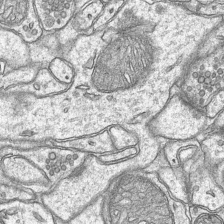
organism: Mouse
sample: CA1 Hippocampus